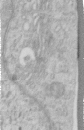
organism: Human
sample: Centriole in RPE cells